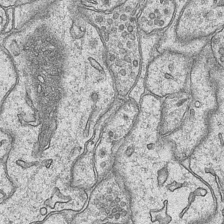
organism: Mouse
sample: CA1 Hippocampus